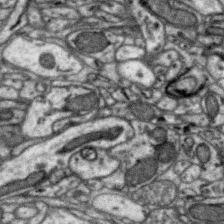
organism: Zebra finch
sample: Brain